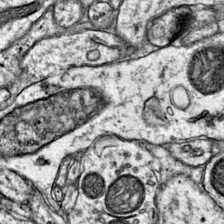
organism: Mouse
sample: Primary visual cortex